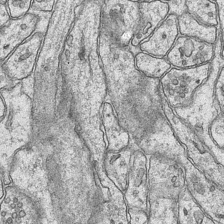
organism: Mouse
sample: CA1 Hippocampus